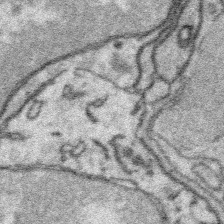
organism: Platynereis dumerilii